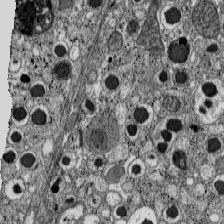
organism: C57BL Mouse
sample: Pancreatic islet